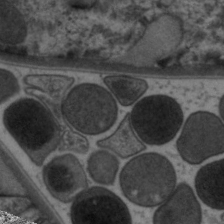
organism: C. elegans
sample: Pharynx